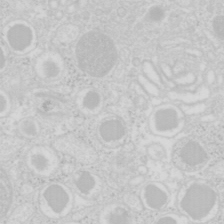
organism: Mouse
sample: Pancreas